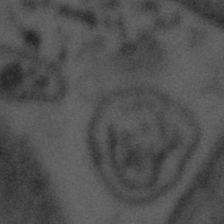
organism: Tuwongella immobilis